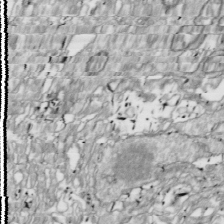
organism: Drosophila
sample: Cell division; meiosis; drosophila spermatocytes